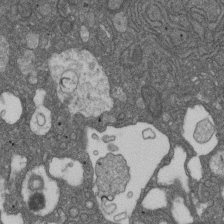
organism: Drosophila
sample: Nephrocyte